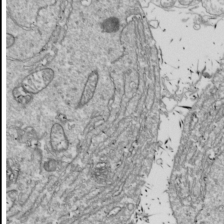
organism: Drosophila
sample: Cell division; meiosis; drosophila spermatocytes